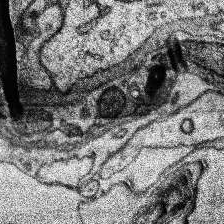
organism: Human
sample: Temporal Lobe